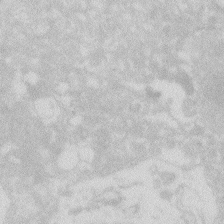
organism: Zebrafish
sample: Macrophage